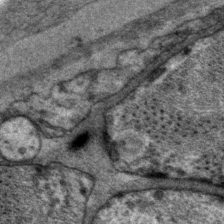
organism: P. pacificus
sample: Pharynx